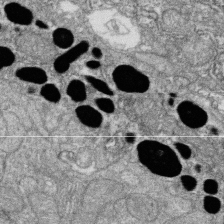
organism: Zebrafish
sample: Cilia; retinal pigment epithelium